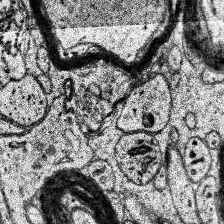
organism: Human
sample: Temporal Lobe